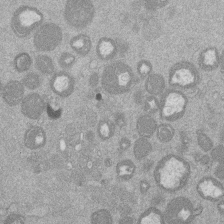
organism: Mouse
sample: Dividing mouse embryo 1 cell stage